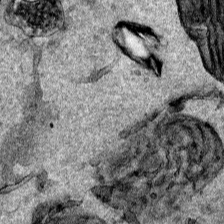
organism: Human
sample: Mitochondria in HCT116 cells